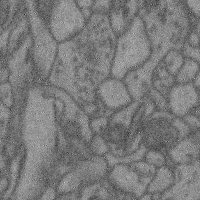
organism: Mouse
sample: Cerebral cortex